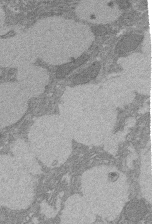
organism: Rat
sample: Salivary granule